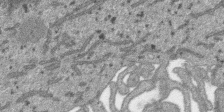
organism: Human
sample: Lung epithelial cells infected with SARS-CoV-2